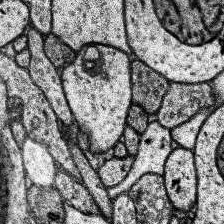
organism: Human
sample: Temporal Lobe